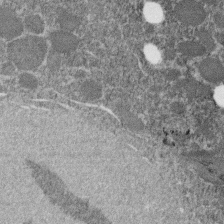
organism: C. elegans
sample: C. elegans embryo early stage